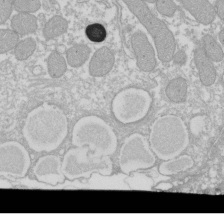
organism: Xenopus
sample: Cilia; centrioles in frog embryo cells